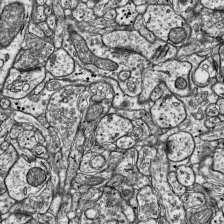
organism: Mouse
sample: Visual Cortex